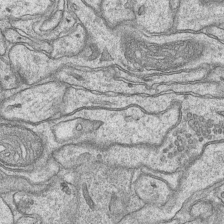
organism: Mouse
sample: CA1 Hippocampus